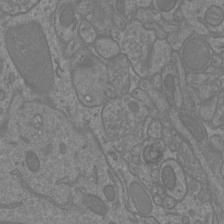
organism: Mouse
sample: Cortical neurons